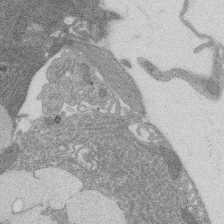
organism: Rat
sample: Salivary granule